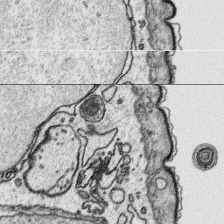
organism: Platynereis dumerilii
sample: Parapodia